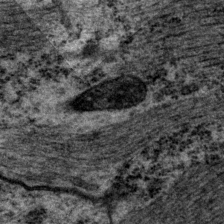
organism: P. pacificus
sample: Pharynx